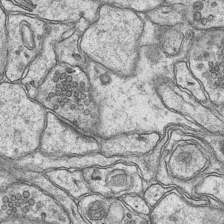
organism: Mouse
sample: CA1 Hippocampus